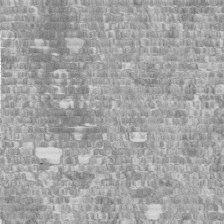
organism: Human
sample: Centriole in fibroblast cells